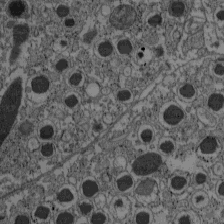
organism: C57BL Mouse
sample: Pancreatic islet